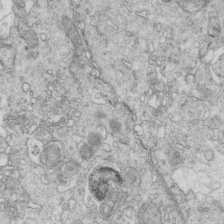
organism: Mouse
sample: Multiciliated cells